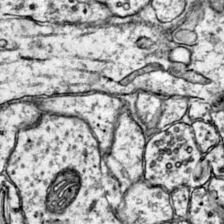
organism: Mouse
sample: Primary visual cortex